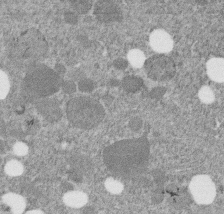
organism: C. elegans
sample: C. elegans embryo early stage